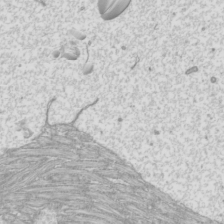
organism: Mouse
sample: Cilia; mouse epididymis